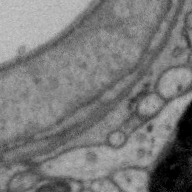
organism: Zebra finch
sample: Brain